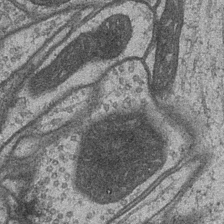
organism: Drosophila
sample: Optic medulla